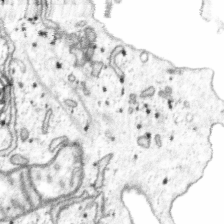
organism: Human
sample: HeLa cells